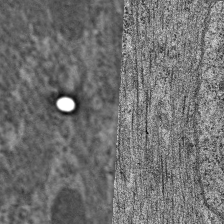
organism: C. elegans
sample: Pharynx